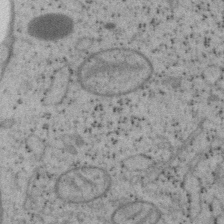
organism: Human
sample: HeLa cells